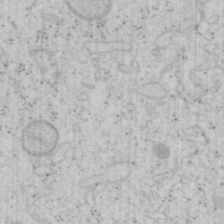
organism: Human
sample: HeLa cells